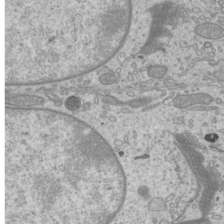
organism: Mouse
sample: Cilia; mouse epididymis